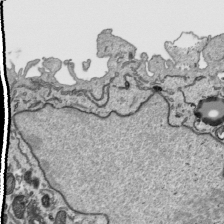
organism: Human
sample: Mitochondria in HCT116 cells